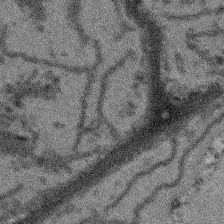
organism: Arabidopsis thaliana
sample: Root tip